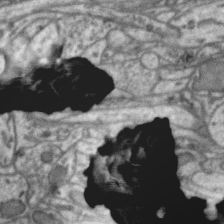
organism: Zebra finch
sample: Brain